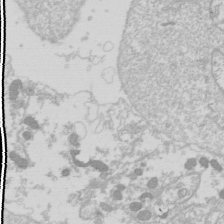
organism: Drosophila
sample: Cell division; meiosis; drosophila spermatocytes